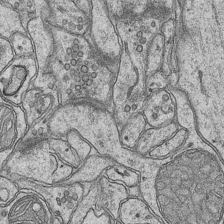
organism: Mouse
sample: CA1 Hippocampus